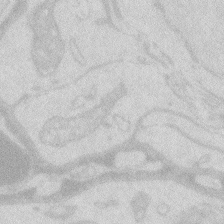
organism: Zebrafish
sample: Macrophage